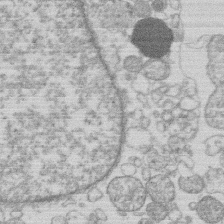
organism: Human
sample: Macrophage cells